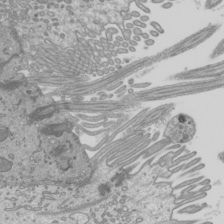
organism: Mouse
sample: Cilia; mouse epididymis